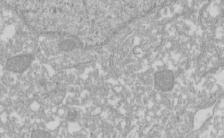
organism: Xenopus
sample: Cilia; centrioles in frog embryo cells